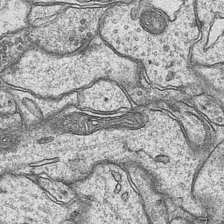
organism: Mouse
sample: CA1 Hippocampus